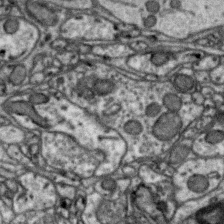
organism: Zebra finch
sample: Brain